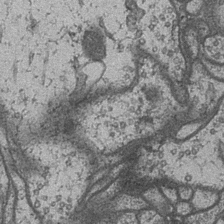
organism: Drosophila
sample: Optic medulla